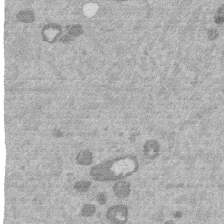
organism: Mouse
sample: Dividing mouse embryo 1 cell stage